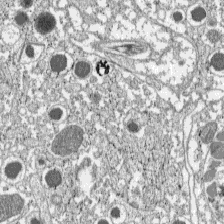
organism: C57BL Mouse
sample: Pancreatic islet